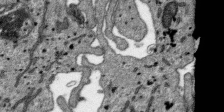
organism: Human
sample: Lung epithelial cells, uninfected (mock) control